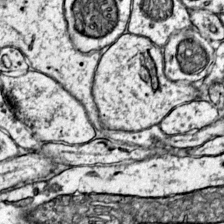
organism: Mouse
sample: Primary visual cortex